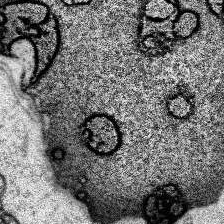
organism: Human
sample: Temporal Lobe